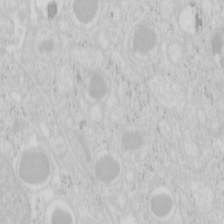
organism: Mouse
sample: Pancreas